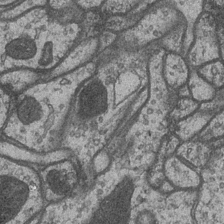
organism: Drosophila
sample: Optic medulla